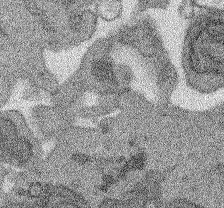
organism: Human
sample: HeLa cells